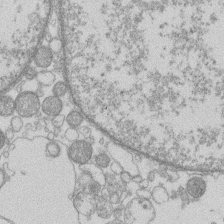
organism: Human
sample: Macrophage cells